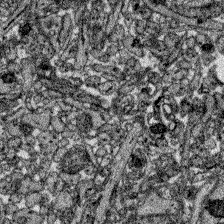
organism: Zebrafish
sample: Larval olfactory bulb